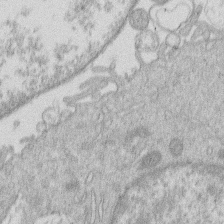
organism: Human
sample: Macrophage cells